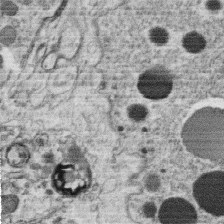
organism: C. elegans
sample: C. elegans oocyte; sperm cells